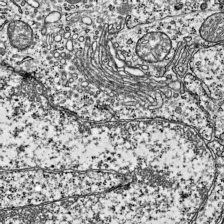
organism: Mouse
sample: Visual Cortex